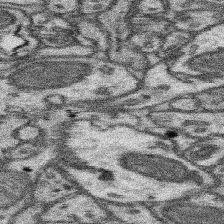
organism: Mouse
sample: Somatosensory cortex neuropil